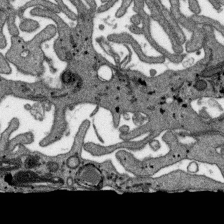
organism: Human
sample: Lung epithelial cells, uninfected (mock) control